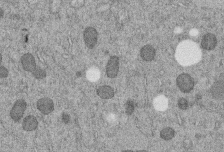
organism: C. elegans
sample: C. elegans embryo early stage